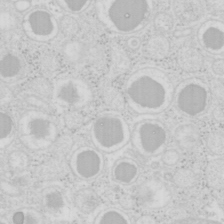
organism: Mouse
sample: Pancreas